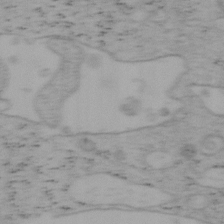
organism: Mouse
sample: OT-I killer T cells with ID8 ovarian cancer cells